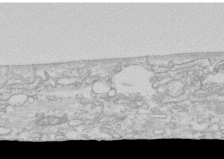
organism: Human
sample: CRL-1474